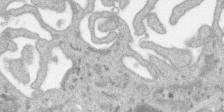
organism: Human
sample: Lung epithelial cells infected with SARS-CoV-2